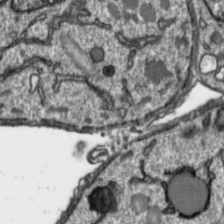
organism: Toxoplasma gondii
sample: Parasites in a vacuole inside a host cell